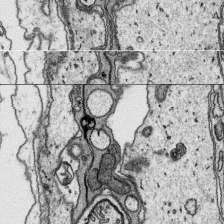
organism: Platynereis dumerilii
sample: Parapodia